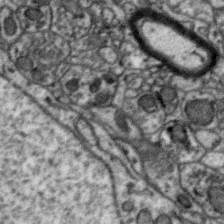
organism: Zebra finch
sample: Brain